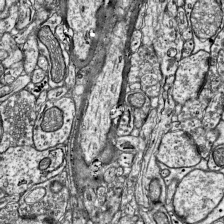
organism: Mouse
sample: Visual Cortex